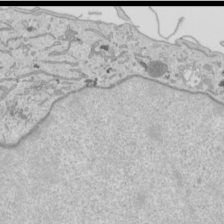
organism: Human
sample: Mitochondria in HCT116 cells